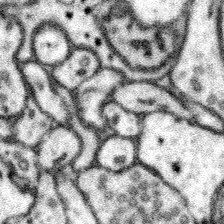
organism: Mouse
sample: Somatosensory cortex neuropil